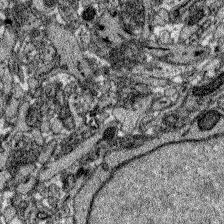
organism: Zebrafish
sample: Larval olfactory bulb